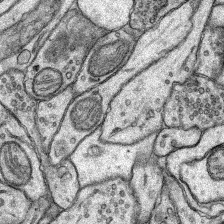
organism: Rat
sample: Hippocampus